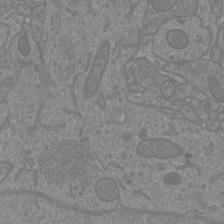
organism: Mouse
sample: Cortical neurons